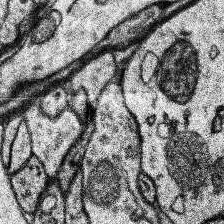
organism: Human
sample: Temporal Lobe